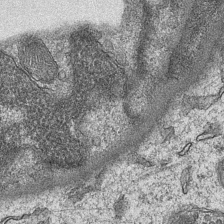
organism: Mouse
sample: CA1 Hippocampus